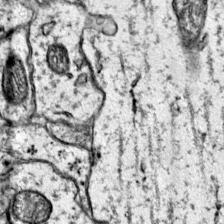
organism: Mouse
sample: Primary visual cortex